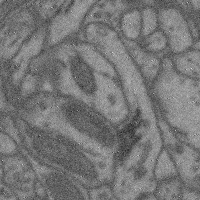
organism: Mouse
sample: Cerebral cortex